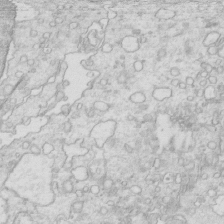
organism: Mouse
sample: Multiciliated cells